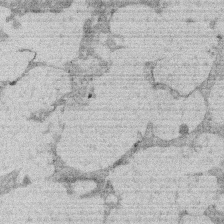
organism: Rat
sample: Salivary granule